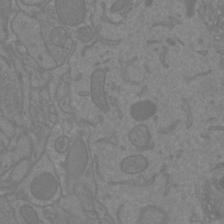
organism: Mouse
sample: Cortical neurons